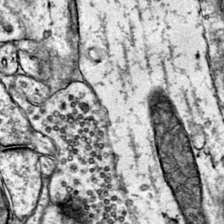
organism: Mouse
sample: Primary visual cortex